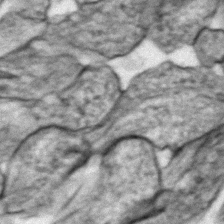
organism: Zebrafish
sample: Zebrafish embryo